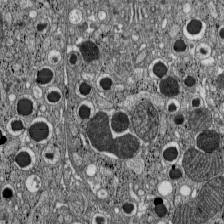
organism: C57BL Mouse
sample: Pancreatic islet